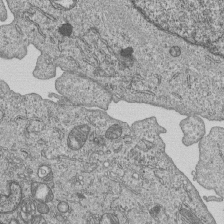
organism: Human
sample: MDA-MB-231 cells